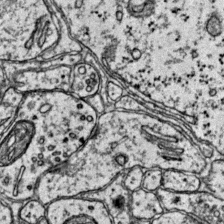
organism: Mouse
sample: Primary visual cortex